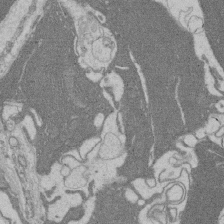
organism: Rat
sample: Salivary granule